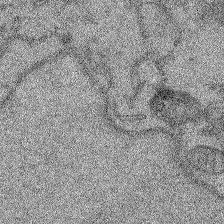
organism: Human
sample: HeLa cells